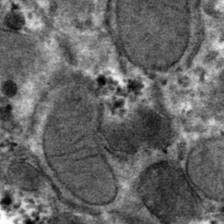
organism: Mouse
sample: Mouse hepatocytes